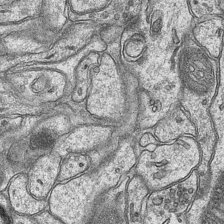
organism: Mouse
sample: CA1 Hippocampus